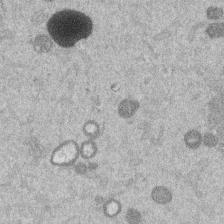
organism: Mouse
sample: Dividing mouse embryo 1 cell stage